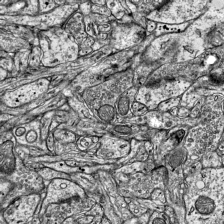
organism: Mouse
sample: Visual Cortex